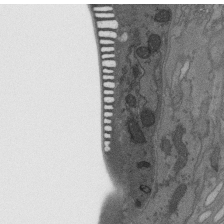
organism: C. elegans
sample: AFD neurons C. elegans